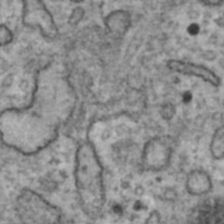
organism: Human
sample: Blood